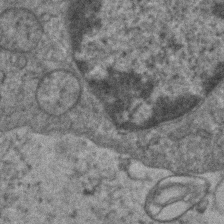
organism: Human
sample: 1205lu cells